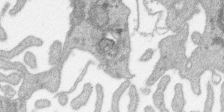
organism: Human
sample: Lung epithelial cells infected with SARS-CoV-2